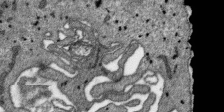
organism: Human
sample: Lung epithelial cells, uninfected (mock) control